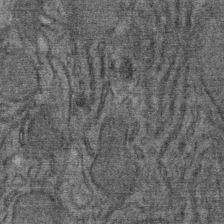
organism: Mouse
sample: Mouse Salivary gland